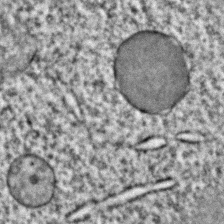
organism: C. elegans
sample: C. elegans embryo